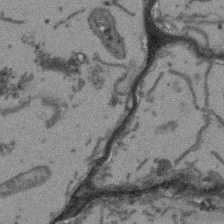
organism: Arabidopsis thaliana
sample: Root tip